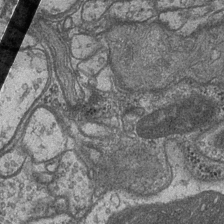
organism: Drosophila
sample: Optic medulla